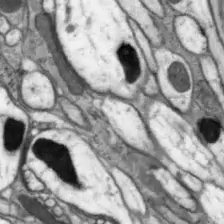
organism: Drosophila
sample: Optic lobe